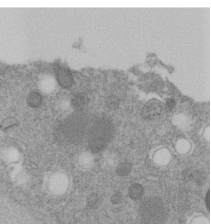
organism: C. elegans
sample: C. elegans embryo early stage